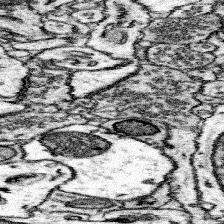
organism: Mouse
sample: Somatosensory cortex neuropil